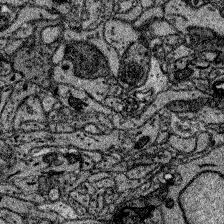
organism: Zebrafish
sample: Larval olfactory bulb